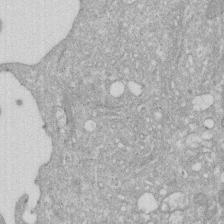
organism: Human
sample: HIV infected U937 cells